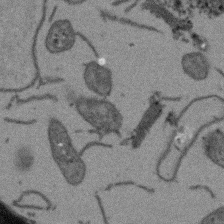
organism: Arabidopsis thaliana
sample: Root tip